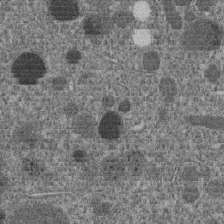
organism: C. elegans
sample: C. elegans embryo early stage